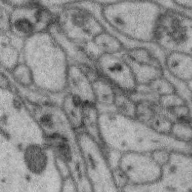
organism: Zebra finch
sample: Brain